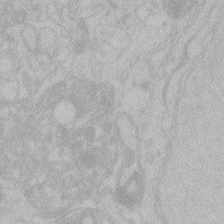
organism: Zebrafish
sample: Macrophage infected with Toxoplasma gondii